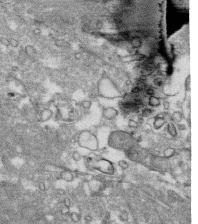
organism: Human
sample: CRL-1474